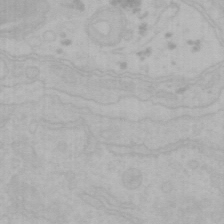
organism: Mouse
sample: Choroid plexus